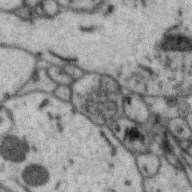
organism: Zebra finch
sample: Brain